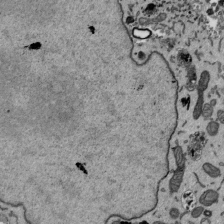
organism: Mouse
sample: ED-1 cell nuclei; centrioles